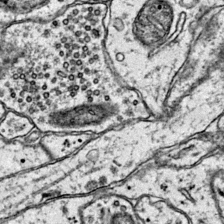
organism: Mouse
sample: Primary visual cortex